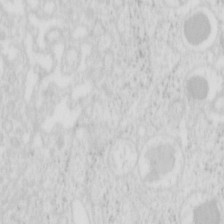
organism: Mouse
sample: Pancreas